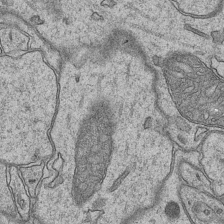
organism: Mouse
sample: CA1 Hippocampus